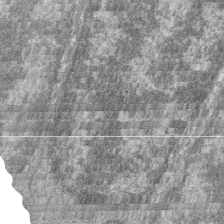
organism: Zebrafish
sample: Cilia; retinal pigment epithelium